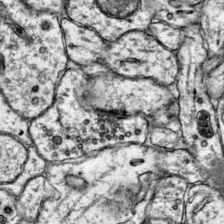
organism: Mouse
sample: Primary visual cortex